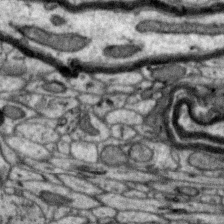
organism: Zebra finch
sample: Brain